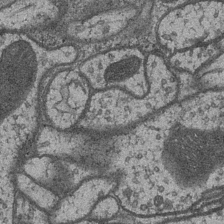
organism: Drosophila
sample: Optic medulla